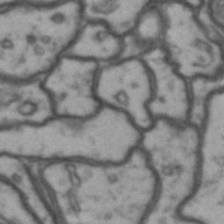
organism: Drosophila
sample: Brain